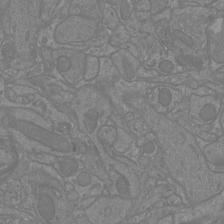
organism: Mouse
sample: Cortical neurons